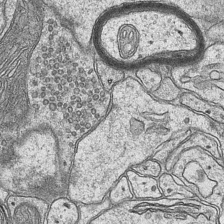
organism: Mouse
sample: CA1 Hippocampus